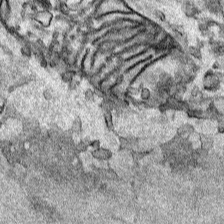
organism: Human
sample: Mitochondria in HCT116 cells